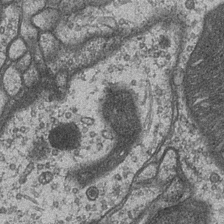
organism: Drosophila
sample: Optic medulla